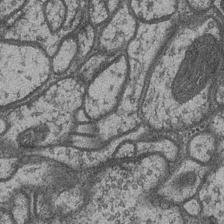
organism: Drosophila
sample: Optic medulla